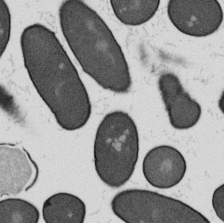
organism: B. subtilis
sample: Bacterial spore